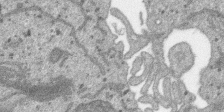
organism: Human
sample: Lung epithelial cells infected with SARS-CoV-2